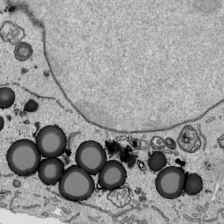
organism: Human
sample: Mitochondria in HCT116 cells